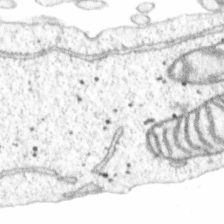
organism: Human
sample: HeLa cells